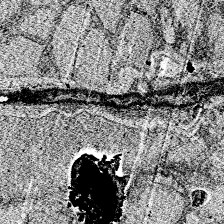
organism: Zebrafish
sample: Whole-Brain